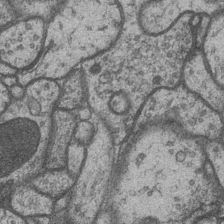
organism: Drosophila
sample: Optic medulla